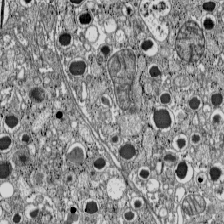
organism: C57BL Mouse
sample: Pancreatic islet